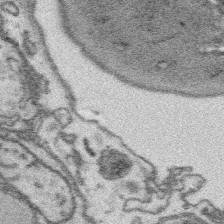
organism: Platynereis dumerilii